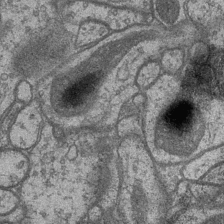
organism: Drosophila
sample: Optic medulla